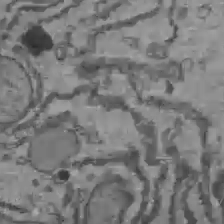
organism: C57BL Mouse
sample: Liver